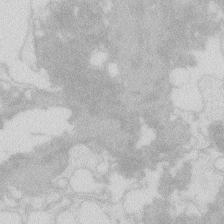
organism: Zebrafish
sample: Macrophage